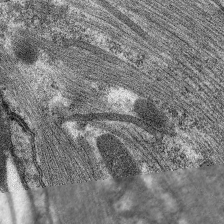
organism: C. elegans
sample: Pharynx